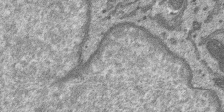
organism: Human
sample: Lung epithelial cells infected with SARS-CoV-2